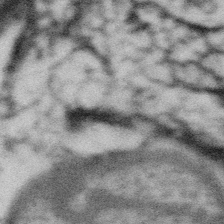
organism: Gemmata obscuriglobus